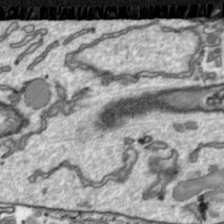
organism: Toxoplasma gondii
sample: Parasites in a vacuole inside a host cell